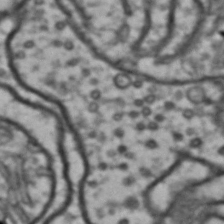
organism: Drosophila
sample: Brain